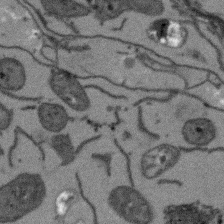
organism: Arabidopsis thaliana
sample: Root tip